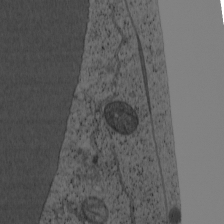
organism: African green monkey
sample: COS-7 cells